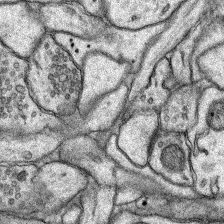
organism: Rat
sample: Hippocampus